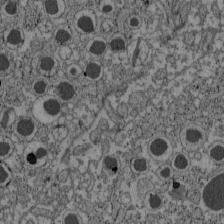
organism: C57BL Mouse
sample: Pancreatic islet